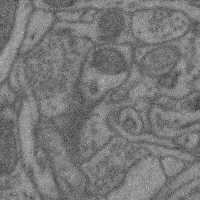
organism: Mouse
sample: Cerebral cortex